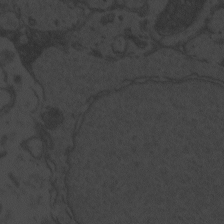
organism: Zebrafish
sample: Macrophage infected with Toxoplasma gondii